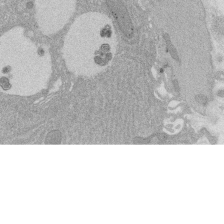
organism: Rat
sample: Salivary granule